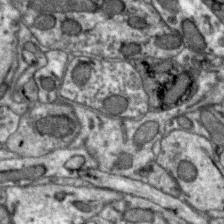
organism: Zebra finch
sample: Brain